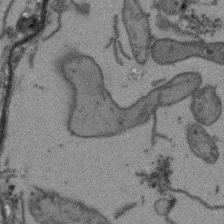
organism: Arabidopsis thaliana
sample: Root tip